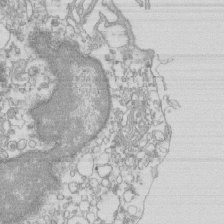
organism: Mouse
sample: Macrophages